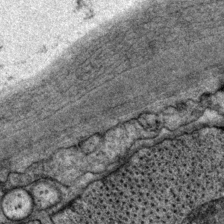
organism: P. pacificus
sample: Pharynx